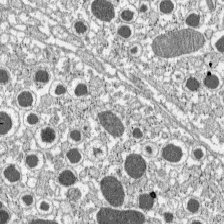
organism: C57BL Mouse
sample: Pancreatic islet